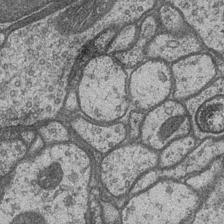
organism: Drosophila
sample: Optic medulla